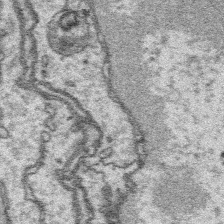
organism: Platynereis dumerilii